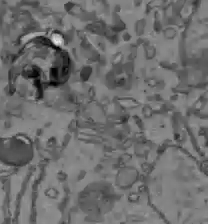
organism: C57BL Mouse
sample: Liver